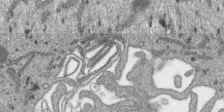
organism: Human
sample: Lung epithelial cells infected with SARS-CoV-2